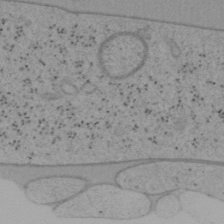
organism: Human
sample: HeLa cells